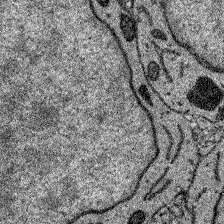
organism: Zebrafish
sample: Larval olfactory bulb